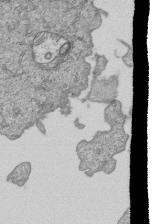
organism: Human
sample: MDA-MB-231 cells